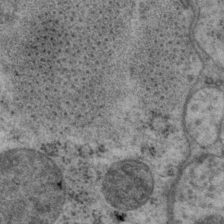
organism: P. pacificus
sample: Pharynx